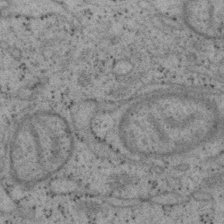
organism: Human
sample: HeLa cells